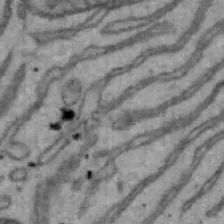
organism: Mouse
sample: Liver